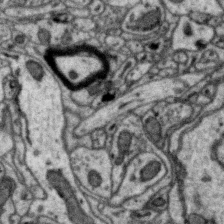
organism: Zebra finch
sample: Brain